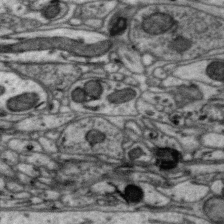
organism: Zebra finch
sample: Brain